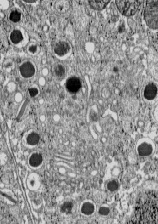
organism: C57BL Mouse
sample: Pancreatic islet